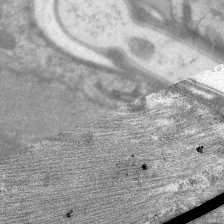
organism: C. elegans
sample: Pharynx